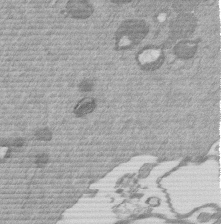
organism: Mouse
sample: Dividing mouse embryo 1 cell stage